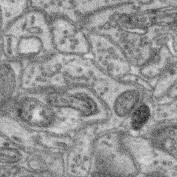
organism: Mouse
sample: Retina